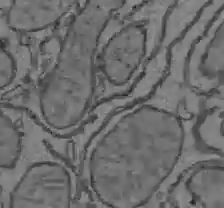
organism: C57BL Mouse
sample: Liver